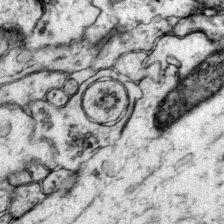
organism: Mouse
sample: Primary visual cortex